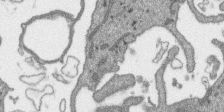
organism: Human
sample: Lung epithelial cells infected with SARS-CoV-2